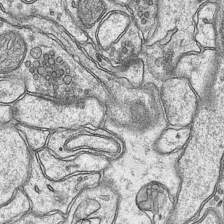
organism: Mouse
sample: CA1 Hippocampus